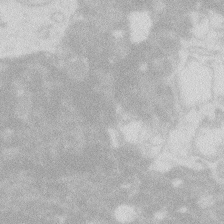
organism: Zebrafish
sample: Macrophage